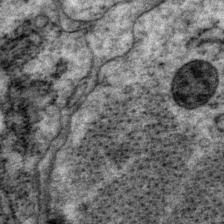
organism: P. pacificus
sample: Pharynx